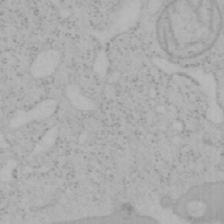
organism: Mouse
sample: OT-I killer T cells with ID8 ovarian cancer cells